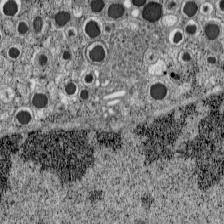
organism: C57BL Mouse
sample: Pancreatic islet